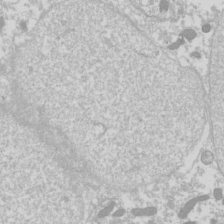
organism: Drosophila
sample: Cell division; meiosis; drosophila spermatocytes